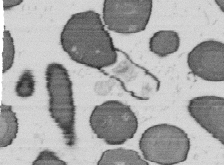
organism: B. subtilis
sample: Bacterial spore